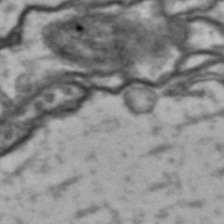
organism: Drosophila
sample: Brain